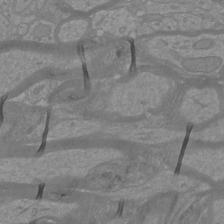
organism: Mouse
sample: Cortical neurons